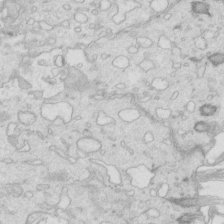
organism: Mouse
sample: Multiciliated cells